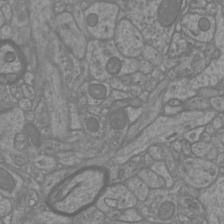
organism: Mouse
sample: Cortical neurons